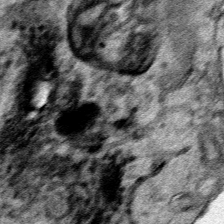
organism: Human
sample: Mitochondria in HCT116 cells